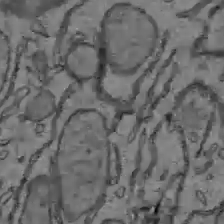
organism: C57BL Mouse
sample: Liver